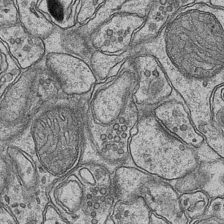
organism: Mouse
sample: CA1 Hippocampus